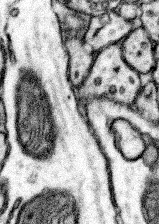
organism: Mouse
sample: Somatosensory cortex neuropil